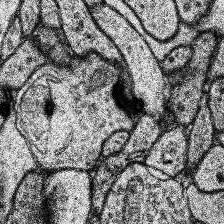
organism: Human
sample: Temporal Lobe